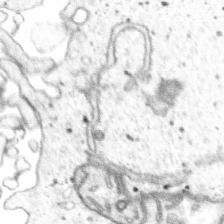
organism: Human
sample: HeLa cells